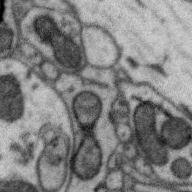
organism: Zebra finch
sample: Brain